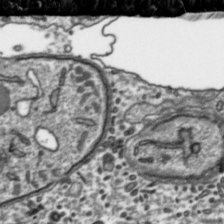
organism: Toxoplasma gondii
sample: Parasites in a vacuole inside a host cell